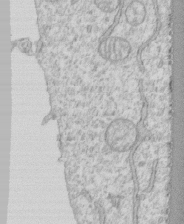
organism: Human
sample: CRL-1474